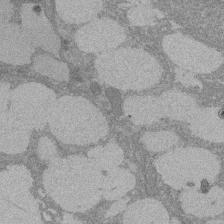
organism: Rat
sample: Salivary granule